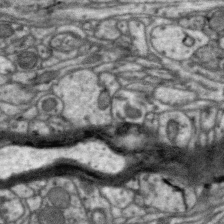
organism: Zebra finch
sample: Brain